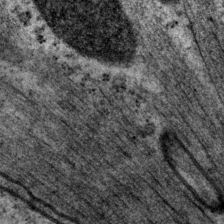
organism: P. pacificus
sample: Pharynx